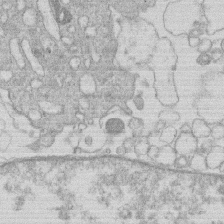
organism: Human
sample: Macrophage cells